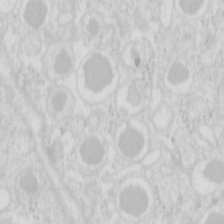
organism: Mouse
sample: Pancreas